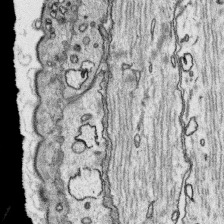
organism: Platynereis dumerilii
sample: Parapodia